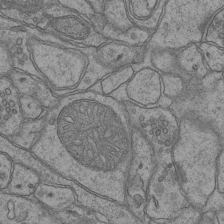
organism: Mouse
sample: CA1 Hippocampus